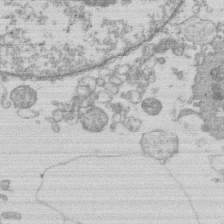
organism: Human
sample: Macrophage cells